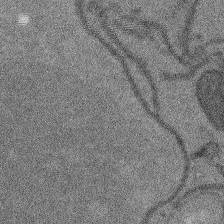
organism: Arabidopsis thaliana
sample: Root tip